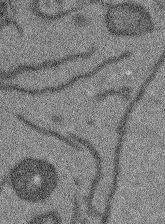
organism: Arabidopsis thaliana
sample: Root tip